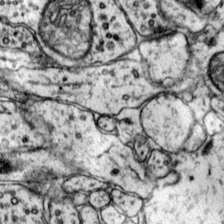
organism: Mouse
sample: Primary visual cortex